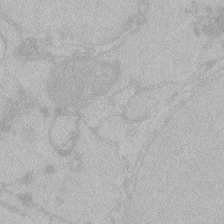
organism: Zebrafish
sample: Macrophage infected with Toxoplasma gondii